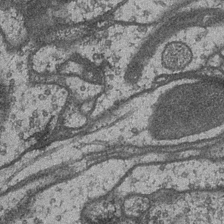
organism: Drosophila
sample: Optic medulla